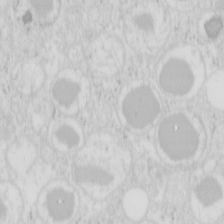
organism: Mouse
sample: Pancreas